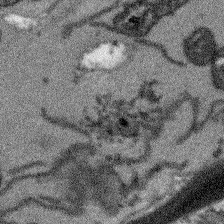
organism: Arabidopsis thaliana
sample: Root tip